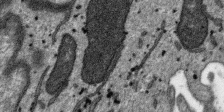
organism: Human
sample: Lung epithelial cells, uninfected (mock) control